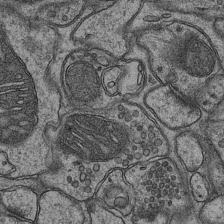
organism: Mouse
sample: CA1 Hippocampus